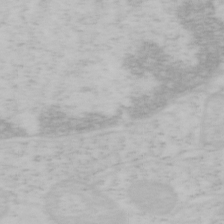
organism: Mouse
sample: OT-I killer T cells with ID8 ovarian cancer cells